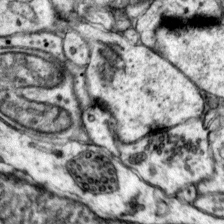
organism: Mouse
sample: Primary visual cortex